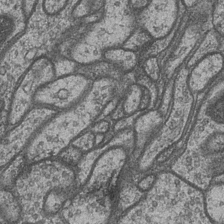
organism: Drosophila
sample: Optic medulla